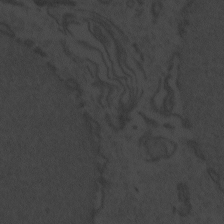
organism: Zebrafish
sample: Macrophage infected with Toxoplasma gondii